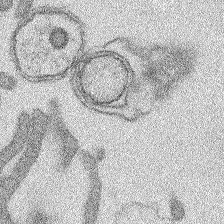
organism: Human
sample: HeLa cells